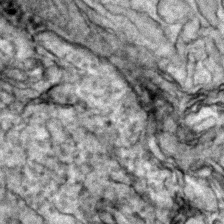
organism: Zebrafish